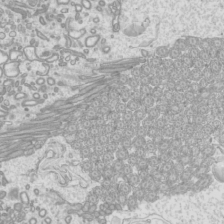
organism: Mouse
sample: Cilia; mouse epididymis